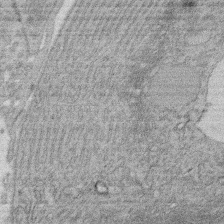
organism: Rat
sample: Salivary granule